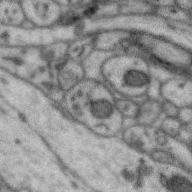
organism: Zebra finch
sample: Brain